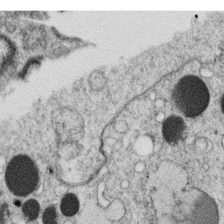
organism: C. elegans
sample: C. elegans oocyte; sperm cells